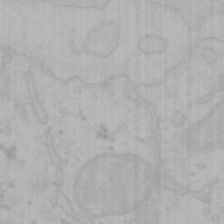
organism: Mouse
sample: Choroid plexus